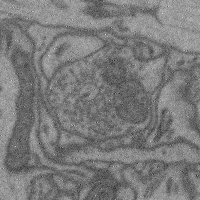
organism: Mouse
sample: Cerebral cortex